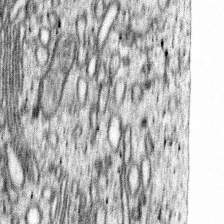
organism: Human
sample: HeLa cells